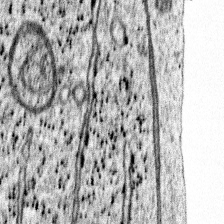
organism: Human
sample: HeLa cells